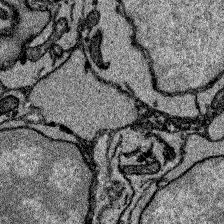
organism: Zebrafish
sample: Larval olfactory bulb